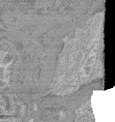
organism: Mouse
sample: Glomerulus